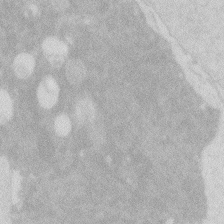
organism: Zebrafish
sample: Macrophage